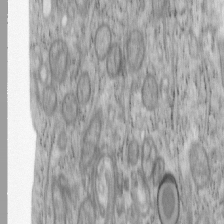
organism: Human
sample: HeLa cells